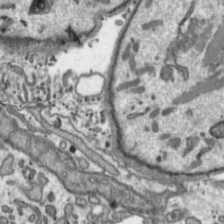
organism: Toxoplasma gondii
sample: Parasites in a vacuole inside a host cell